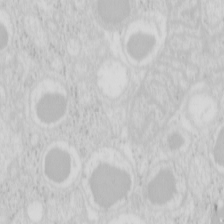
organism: Mouse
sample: Pancreas